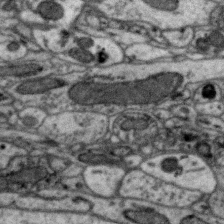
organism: Zebra finch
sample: Brain